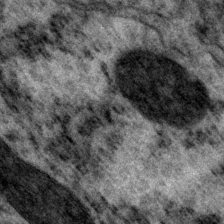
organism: P. pacificus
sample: Pharynx